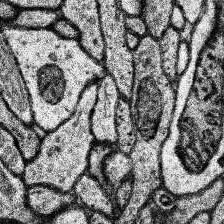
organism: Human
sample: Temporal Lobe